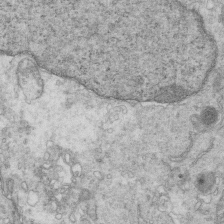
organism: Mouse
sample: Multiciliated cells